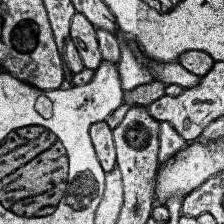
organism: Human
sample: Temporal Lobe